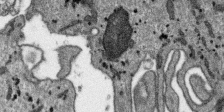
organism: Human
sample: Lung epithelial cells, uninfected (mock) control